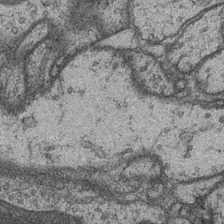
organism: Drosophila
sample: Optic medulla